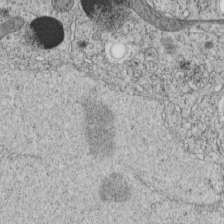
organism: C. elegans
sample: C. elegans embryo early stage